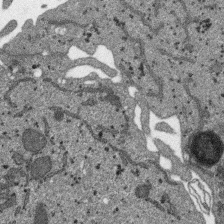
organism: Human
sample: Lung epithelial cells infected with SARS-CoV-2